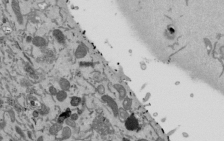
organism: Mouse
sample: ED-1 cell nuclei; centrioles